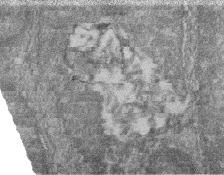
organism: Zebrafish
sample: Cilia; retinal pigment epithelium